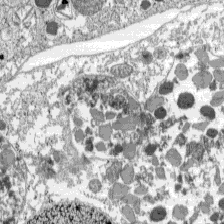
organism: C57BL Mouse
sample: Pancreatic islet